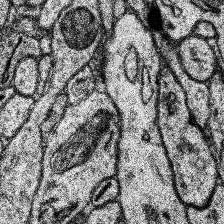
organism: Human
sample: Temporal Lobe